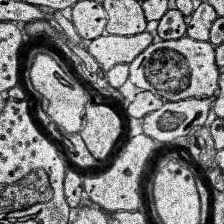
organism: Human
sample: Temporal Lobe